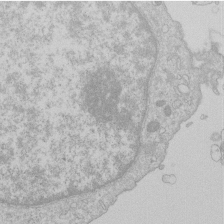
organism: Human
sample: Macrophage cells